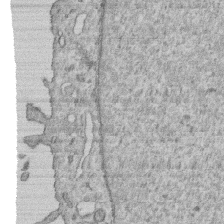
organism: Human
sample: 1205lu cells